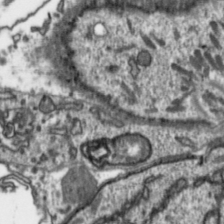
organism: Toxoplasma gondii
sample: Parasites in a vacuole inside a host cell